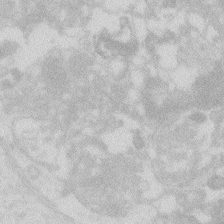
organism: Zebrafish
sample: Macrophage